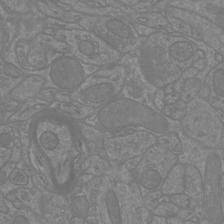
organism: Mouse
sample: Cortical neurons